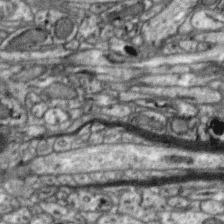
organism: Zebra finch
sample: Brain